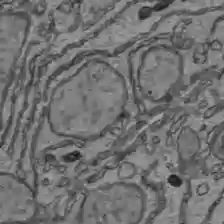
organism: C57BL Mouse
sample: Liver